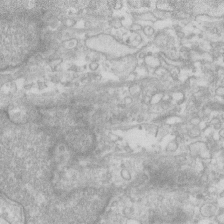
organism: Human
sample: Fibroblast cells